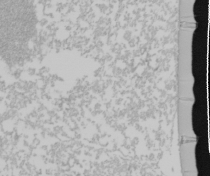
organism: Mouse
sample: Cancer cell death in ED-1 cells